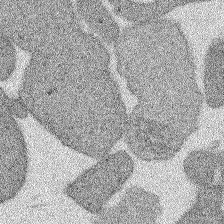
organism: Human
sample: HeLa cells